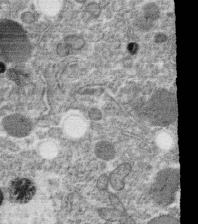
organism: C. elegans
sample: C. elegans oocyte; sperm cells